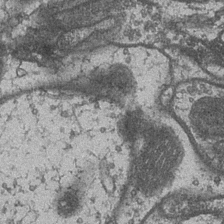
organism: Drosophila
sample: Optic medulla